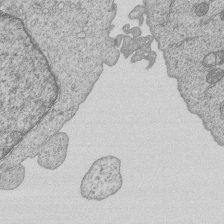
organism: Human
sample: MDA-MB-231 cells